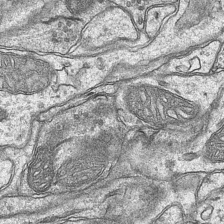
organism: Mouse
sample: CA1 Hippocampus